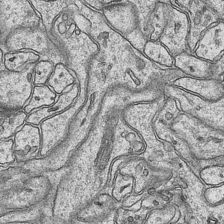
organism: Mouse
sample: CA1 Hippocampus